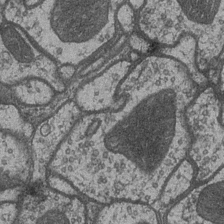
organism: Drosophila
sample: Optic medulla